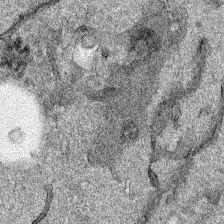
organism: Human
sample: Mitochondria in HCT116 cells